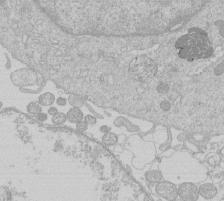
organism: Human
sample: Macrophage cells